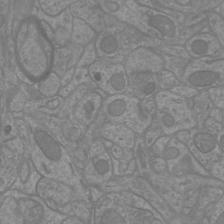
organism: Mouse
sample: Cortical neurons